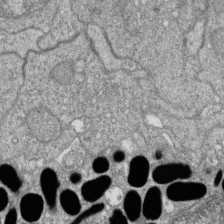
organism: Zebrafish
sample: Cilia; retinal pigment epithelium